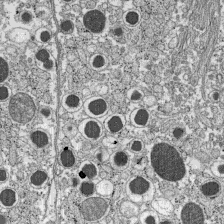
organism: C57BL Mouse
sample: Pancreatic islet